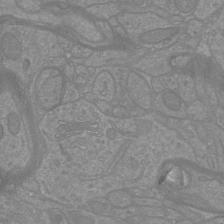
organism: Mouse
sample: Cortical neurons